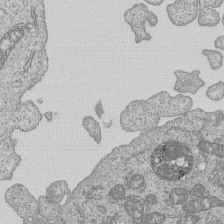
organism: Human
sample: MDA-MB-231 cells